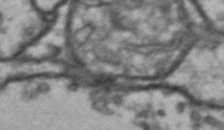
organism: Drosophila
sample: Brain